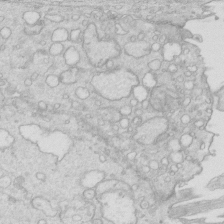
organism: Mouse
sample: Multiciliated cells